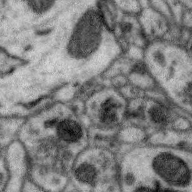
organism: Zebra finch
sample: Brain